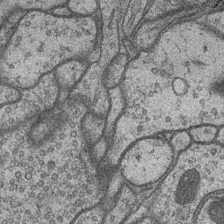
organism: Drosophila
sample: Optic medulla